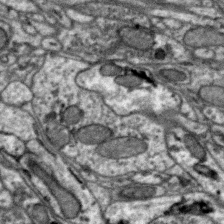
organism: Zebra finch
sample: Brain